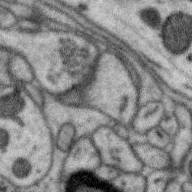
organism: Zebra finch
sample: Brain